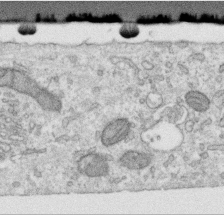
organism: Human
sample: Centriole in RPE cells